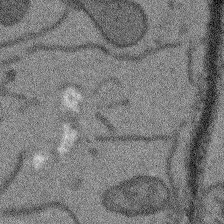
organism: Arabidopsis thaliana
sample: Root tip